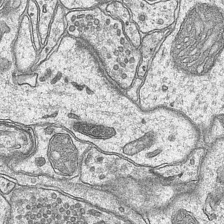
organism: Mouse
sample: CA1 Hippocampus